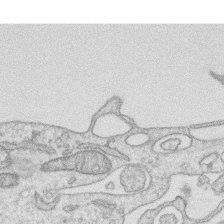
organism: Human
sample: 1205lu cells